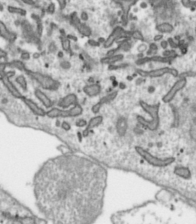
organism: Toxoplasma gondii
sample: Parasites in a vacuole inside a host cell